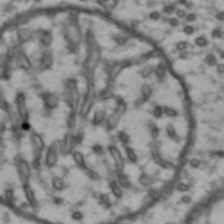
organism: Drosophila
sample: Brain